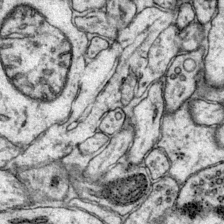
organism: Mouse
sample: Primary visual cortex